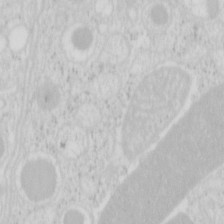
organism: Mouse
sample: Pancreas